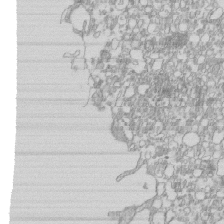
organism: Mouse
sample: Macrophages